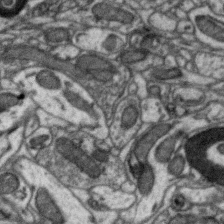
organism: Zebra finch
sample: Brain